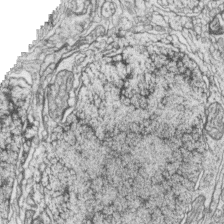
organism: Zebrafish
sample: synaptic ribbons in rod cells and cone cells